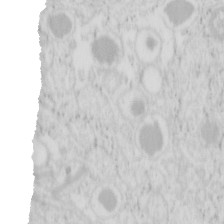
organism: Mouse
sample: Pancreas